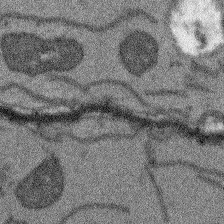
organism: Arabidopsis thaliana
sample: Root tip